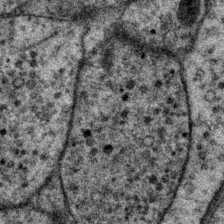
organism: P. pacificus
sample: Pharynx